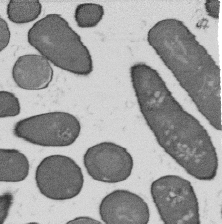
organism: B. subtilis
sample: Bacterial spore